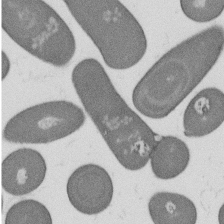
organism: B. subtilis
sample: Bacterial spore